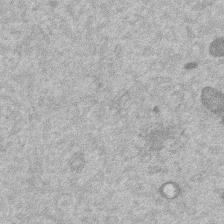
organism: Mouse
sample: Dividing mouse embryo 1 cell stage